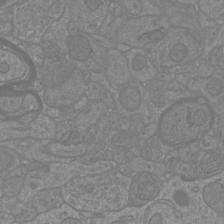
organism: Mouse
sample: Cortical neurons